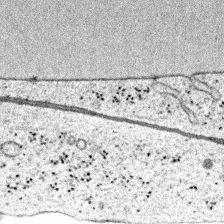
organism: Human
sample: HeLa cells